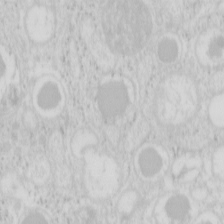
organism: Mouse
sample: Pancreas